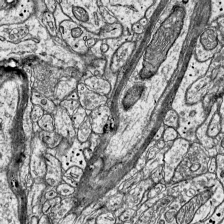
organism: Mouse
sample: Visual Cortex